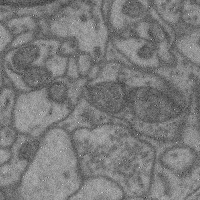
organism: Mouse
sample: Cerebral cortex